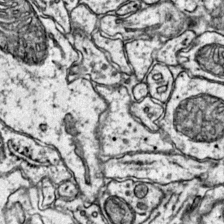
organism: Mouse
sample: Primary visual cortex